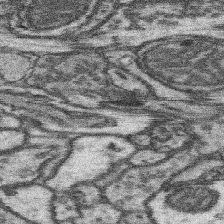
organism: Mouse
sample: Somatosensory cortex neuropil